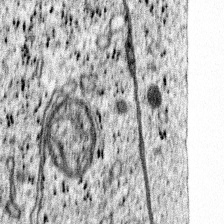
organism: Human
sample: HeLa cells